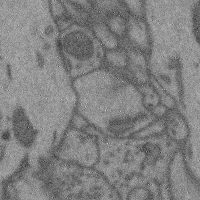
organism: Mouse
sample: Cerebral cortex